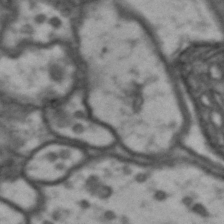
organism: Drosophila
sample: Brain